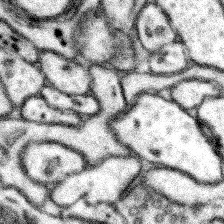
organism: Mouse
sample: Somatosensory cortex neuropil